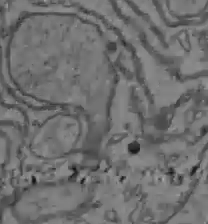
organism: C57BL Mouse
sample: Liver